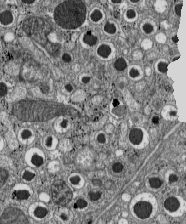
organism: C57BL Mouse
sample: Pancreatic islet